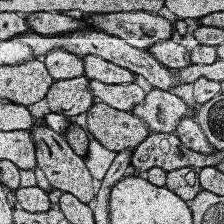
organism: Human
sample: Temporal Lobe